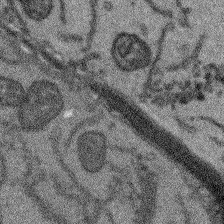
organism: Arabidopsis thaliana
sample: Root tip